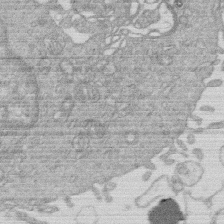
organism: Human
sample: Macrophage cells